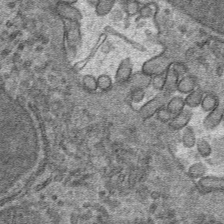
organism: Mouse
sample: Mouse hepatocytes